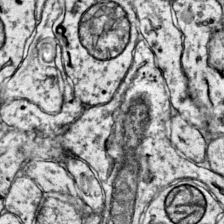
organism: Mouse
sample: Primary visual cortex